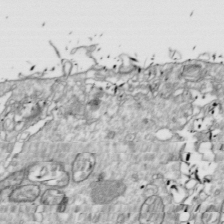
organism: Drosophila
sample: Cell division; meiosis; drosophila spermatocytes